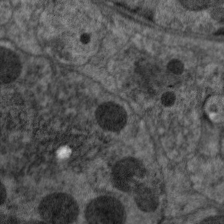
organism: C. elegans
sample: Pharynx